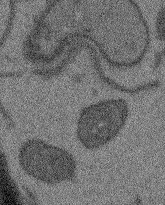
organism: Arabidopsis thaliana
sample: Root tip